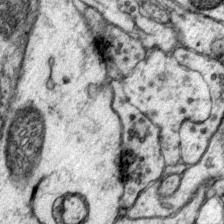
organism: Mouse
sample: Primary visual cortex